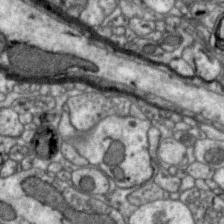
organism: Zebra finch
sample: Brain